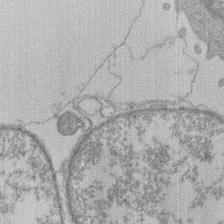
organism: Human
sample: Macrophage cells